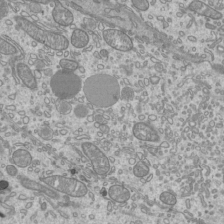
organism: Mouse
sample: Cilia; mouse epididymis